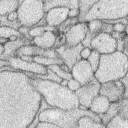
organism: Rabbit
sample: Retina